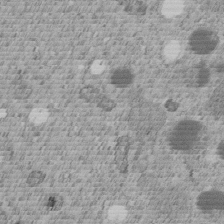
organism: C. elegans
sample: C. elegans embryo early stage